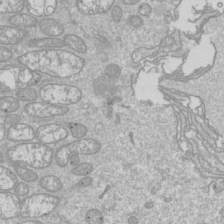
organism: Drosophila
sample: Cell division; meiosis; drosophila spermatocytes